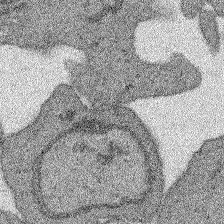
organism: Human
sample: HeLa cells